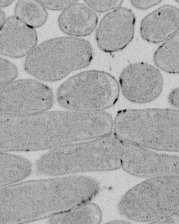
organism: E. coli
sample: Bacterial nucleoid